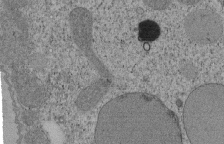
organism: Tetrahymena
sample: Cilia in tetrahymena